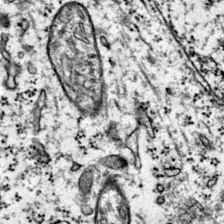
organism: Mouse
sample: Primary visual cortex